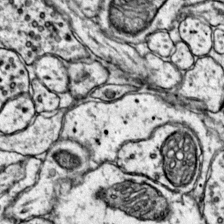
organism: Mouse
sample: Primary visual cortex